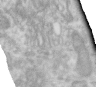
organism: Human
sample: Centriole in RPE cells